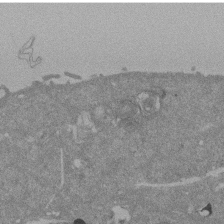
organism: Mouse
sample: ED-1 cell nuclei; centrioles